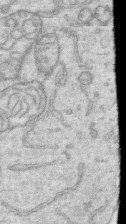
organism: Human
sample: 1205lu cells